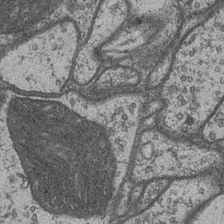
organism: Drosophila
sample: Optic medulla